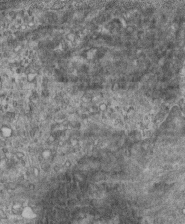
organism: Mouse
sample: Centriole in ependymal cells